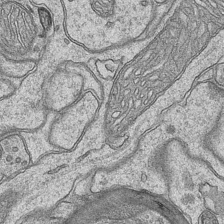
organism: Mouse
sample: CA1 Hippocampus